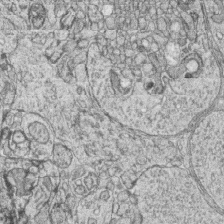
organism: Zebrafish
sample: synaptic ribbons in rod cells and cone cells